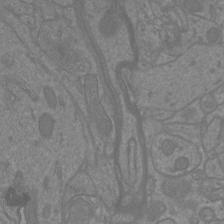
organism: Mouse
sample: Cortical neurons